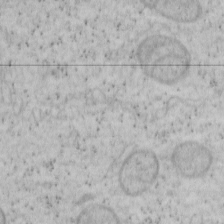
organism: Human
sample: HeLa cells